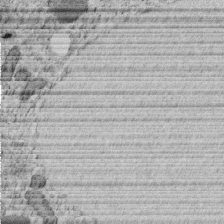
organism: C. elegans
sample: C. elegans embryo early stage